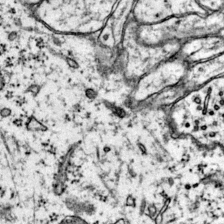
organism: Mouse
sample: Primary visual cortex